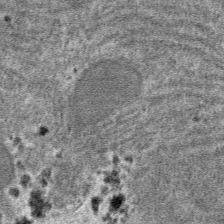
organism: Mouse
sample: Mouse hepatocytes